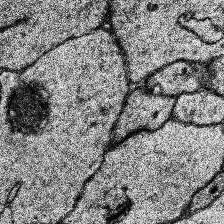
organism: Human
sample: Temporal Lobe